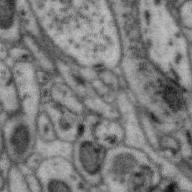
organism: Zebra finch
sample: Brain